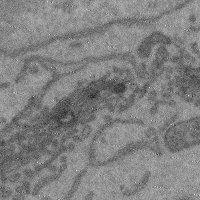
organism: Mouse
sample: Cerebral cortex